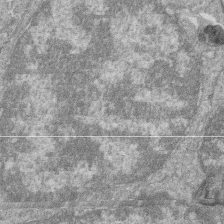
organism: Zebrafish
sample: Cilia; retinal pigment epithelium